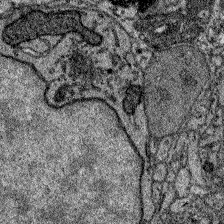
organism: Zebrafish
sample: Larval olfactory bulb